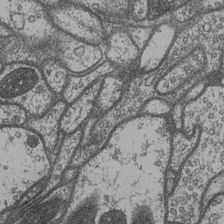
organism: Drosophila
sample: Optic medulla